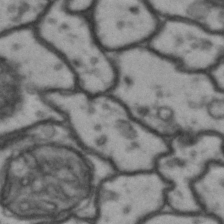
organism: Drosophila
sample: Brain